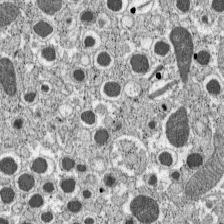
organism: C57BL Mouse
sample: Pancreatic islet